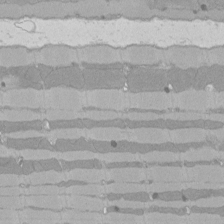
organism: Rat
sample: Left ventricle